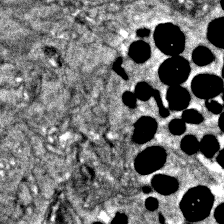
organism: Zebrafish